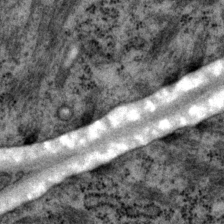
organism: P. pacificus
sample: Pharynx